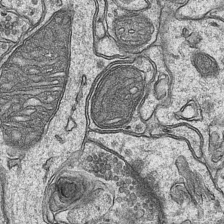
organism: Mouse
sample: CA1 Hippocampus